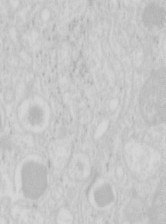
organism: Mouse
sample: Pancreas